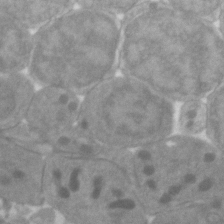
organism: Zebrafish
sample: Zebrafish embryo